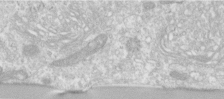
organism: Human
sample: Centriole in RPE cells